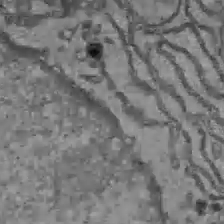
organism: C57BL Mouse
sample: Liver